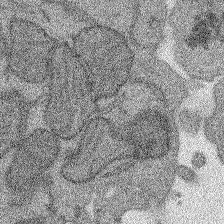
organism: Human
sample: HeLa cells